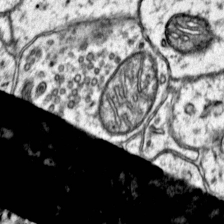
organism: Mouse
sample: Primary visual cortex